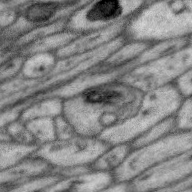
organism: Zebra finch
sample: Brain